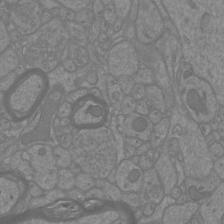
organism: Mouse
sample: Cortical neurons